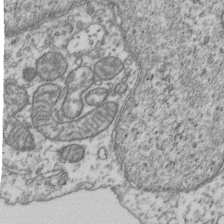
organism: Human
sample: Activated Jurkat CD4+ T cells